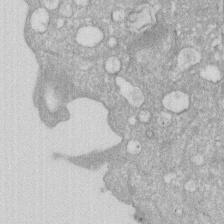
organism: Human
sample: HIV infected U937 cells